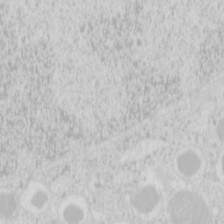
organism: Mouse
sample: Pancreas